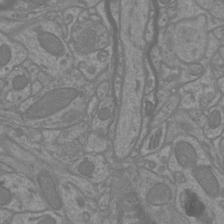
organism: Mouse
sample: Cortical neurons